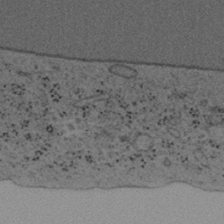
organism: Human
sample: HeLa cells